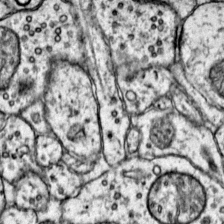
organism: Mouse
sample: Primary visual cortex